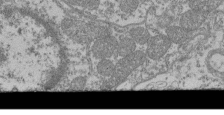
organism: Mouse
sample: Glomerulus